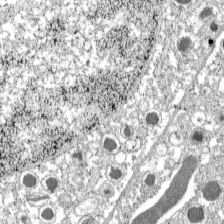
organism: C57BL Mouse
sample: Pancreatic islet